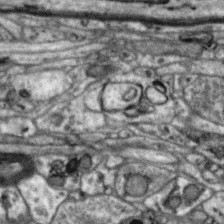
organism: Zebra finch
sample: Brain